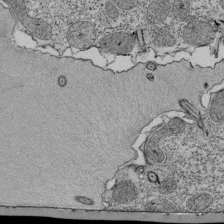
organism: Tetrahymena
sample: Cilia in tetrahymena